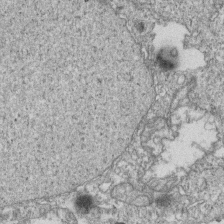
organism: Human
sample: HeLa cell HIV synapse